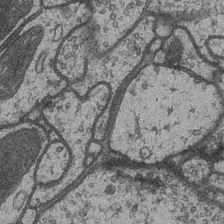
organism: Drosophila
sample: Optic medulla